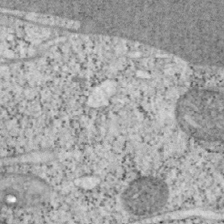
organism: Mouse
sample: OT-I killer T cells with ID8 ovarian cancer cells